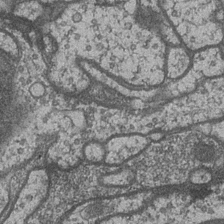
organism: Drosophila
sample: Optic medulla